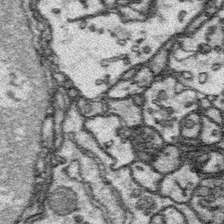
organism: Platynereis dumerilii